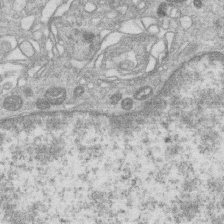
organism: Human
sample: Macrophage cells